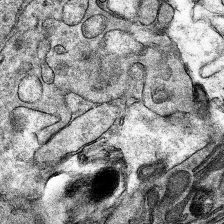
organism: Mouse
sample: Mouse hepatocytes